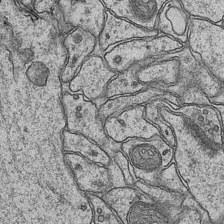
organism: Mouse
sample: CA1 Hippocampus